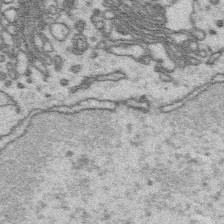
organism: Platynereis dumerilii